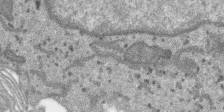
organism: Human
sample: Lung epithelial cells infected with SARS-CoV-2